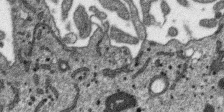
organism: Human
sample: Lung epithelial cells infected with SARS-CoV-2